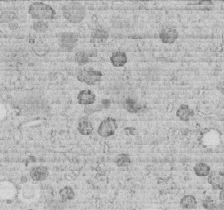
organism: C. elegans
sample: C. elegans embryo early stage